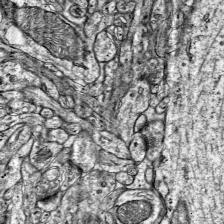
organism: Mouse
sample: Visual Cortex